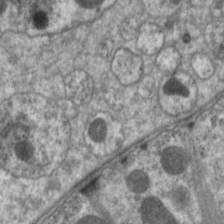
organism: C. elegans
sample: Pharynx